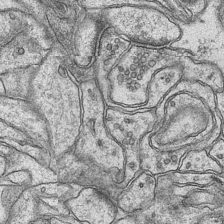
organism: Mouse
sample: CA1 Hippocampus